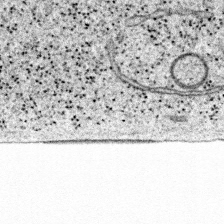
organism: Human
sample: HeLa cells